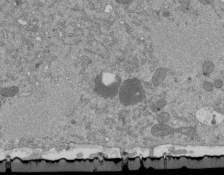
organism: Mouse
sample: ED-1 cell nuclei; centrioles